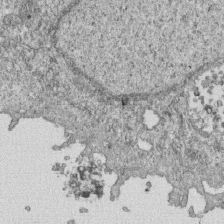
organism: Human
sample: HeLa cell HIV synapse